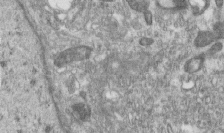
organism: Human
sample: Centriole in RPE cells